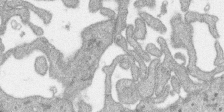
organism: Human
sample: Lung epithelial cells infected with SARS-CoV-2